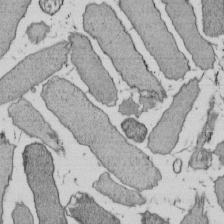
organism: E. coli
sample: Bacterial nucleoid